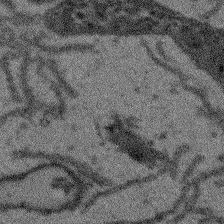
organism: Arabidopsis thaliana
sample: Root tip